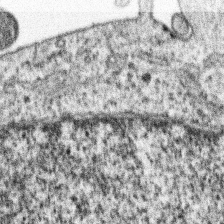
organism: Human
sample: HeLa cells